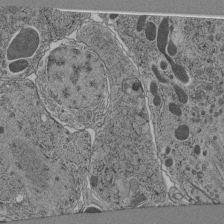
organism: C. elegans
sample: C. elegans pharynx